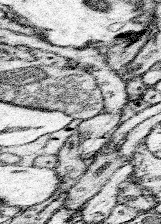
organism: Mouse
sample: Somatosensory cortex neuropil